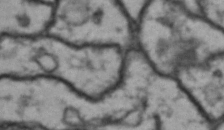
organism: Drosophila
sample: Brain